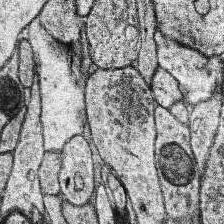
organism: Human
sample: Temporal Lobe